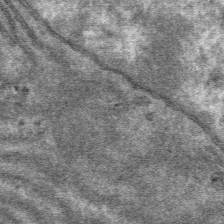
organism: Mouse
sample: Mouse hepatocytes